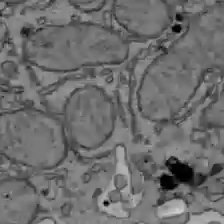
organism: C57BL Mouse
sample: Liver